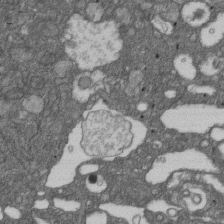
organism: Drosophila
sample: Nephrocyte